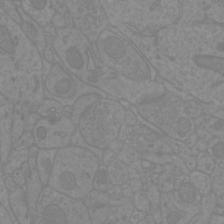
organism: Mouse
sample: Cortical neurons